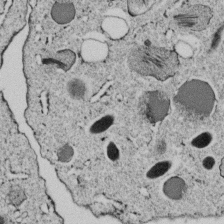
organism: C. elegans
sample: C. elegans embryo early stage